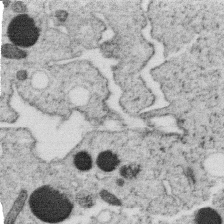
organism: C. elegans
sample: C. elegans oocyte; sperm cells